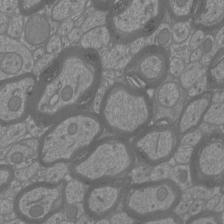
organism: Mouse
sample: Cortical neurons